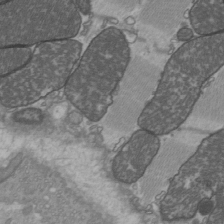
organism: C57BL Mouse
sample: Heart